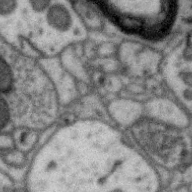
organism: Zebra finch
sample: Brain